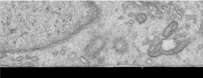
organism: Human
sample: Centriole in RPE cells